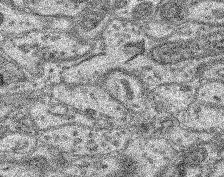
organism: Mouse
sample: Retina